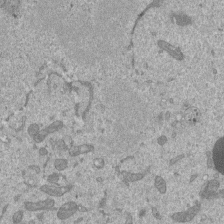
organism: Mouse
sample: ED-1 cell nuclei; centrioles